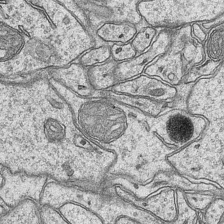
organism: Mouse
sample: CA1 Hippocampus